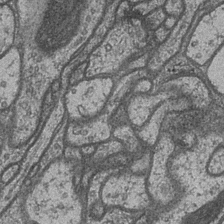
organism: Drosophila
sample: Optic medulla